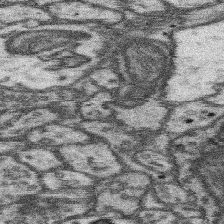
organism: Mouse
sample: Somatosensory cortex neuropil